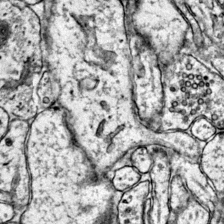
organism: Mouse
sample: Primary visual cortex